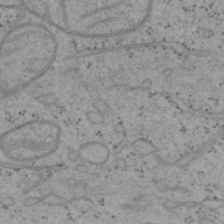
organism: Human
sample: HeLa cells